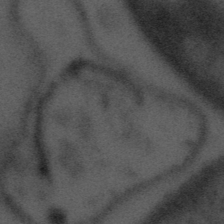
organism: Tuwongella immobilis